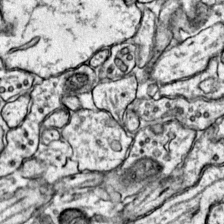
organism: Mouse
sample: Primary visual cortex